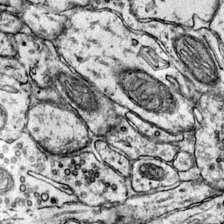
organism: Mouse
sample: Primary visual cortex